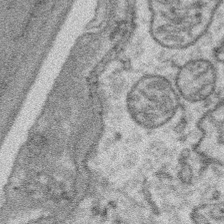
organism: Platynereis dumerilii